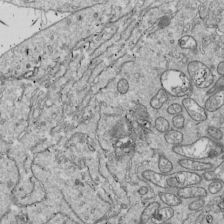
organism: Drosophila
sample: Cell division; meiosis; drosophila spermatocytes